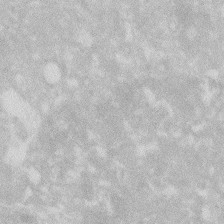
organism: Zebrafish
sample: Macrophage